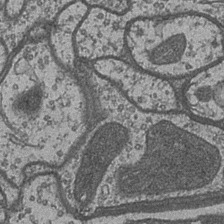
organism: Drosophila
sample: Optic medulla